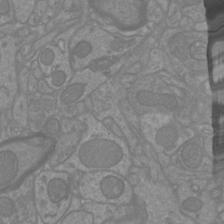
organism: Mouse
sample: Cortical neurons